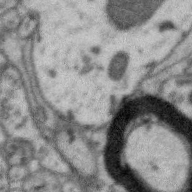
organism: Zebra finch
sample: Brain